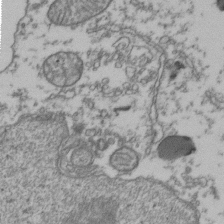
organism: Human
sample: Activated Jurkat CD4+ T cells